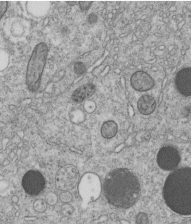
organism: C. elegans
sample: C. elegans embryo early stage